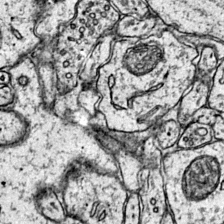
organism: Mouse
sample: Primary visual cortex